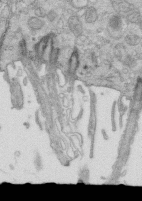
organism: Mouse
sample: Multiciliated cells